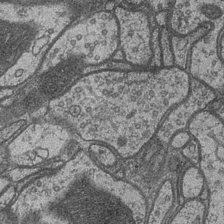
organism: Drosophila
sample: Optic medulla